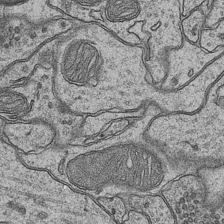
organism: Mouse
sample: CA1 Hippocampus